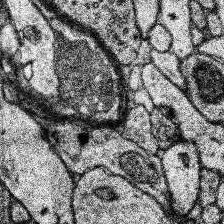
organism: Human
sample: Temporal Lobe